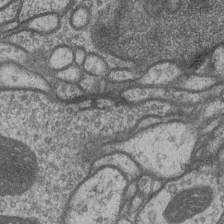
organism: Drosophila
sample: Optic medulla